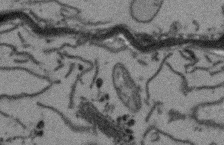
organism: Arabidopsis thaliana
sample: Root tip